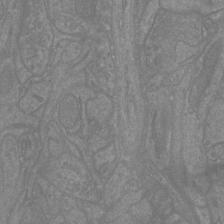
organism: Mouse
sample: Cortical neurons